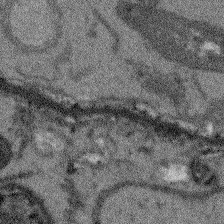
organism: Arabidopsis thaliana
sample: Root tip